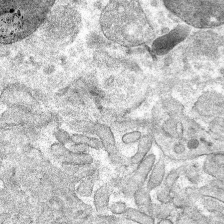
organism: Mouse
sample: Mouse hepatocytes